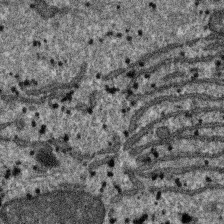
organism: Human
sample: Lung epithelial cells infected with SARS-CoV-2